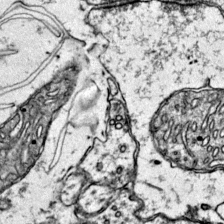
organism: Mouse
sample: Primary visual cortex